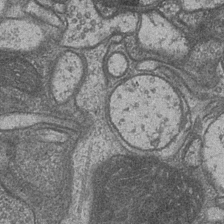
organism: Drosophila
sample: Optic medulla